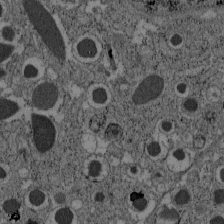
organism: C57BL Mouse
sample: Pancreatic islet